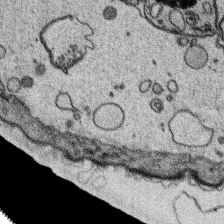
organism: Platynereis dumerilii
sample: Parapodia